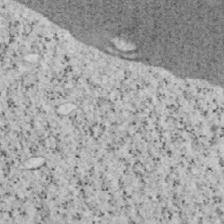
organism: Mouse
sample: OT-I killer T cells with ID8 ovarian cancer cells